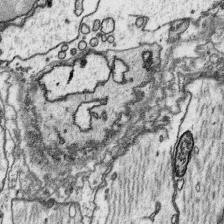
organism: Platynereis dumerilii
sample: Parapodia